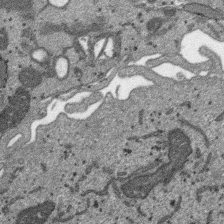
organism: Human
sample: Lung epithelial cells infected with SARS-CoV-2